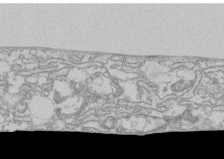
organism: Human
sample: CRL-1474